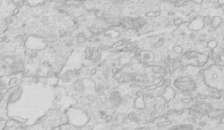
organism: Mouse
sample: Multiciliated cells